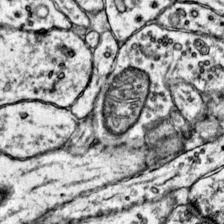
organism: Mouse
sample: Primary visual cortex